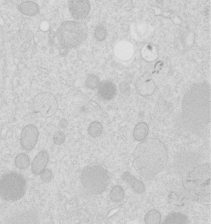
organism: C. elegans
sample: C. elegans embryo early stage